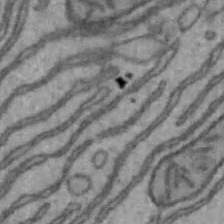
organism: Mouse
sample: Liver